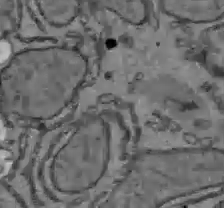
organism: C57BL Mouse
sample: Liver